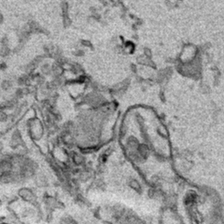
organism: Human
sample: Mitochondria in HCT116 cells